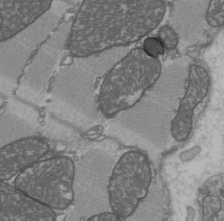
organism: C57BL Mouse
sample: Heart